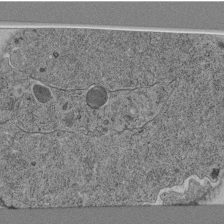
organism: C. elegans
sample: C. elegans pharynx